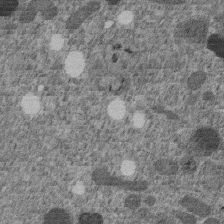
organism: C. elegans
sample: C. elegans embryo early stage